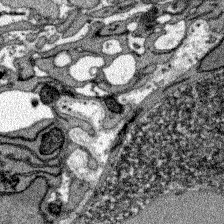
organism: Zebrafish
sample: Larval olfactory bulb